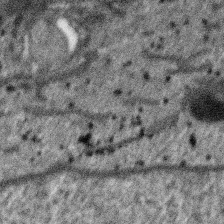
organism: Human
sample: Lung epithelial cells infected with SARS-CoV-2